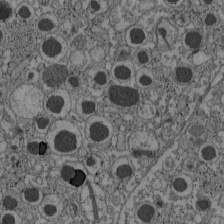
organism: C57BL Mouse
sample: Pancreatic islet